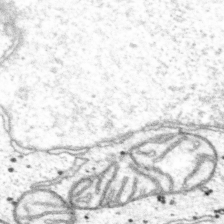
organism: Human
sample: HeLa cells